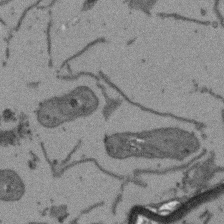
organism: Arabidopsis thaliana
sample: Root tip